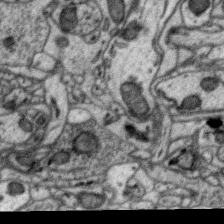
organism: Zebra finch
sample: Brain